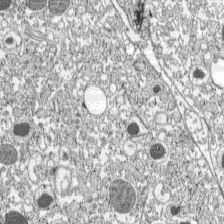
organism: C57BL Mouse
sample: Pancreatic islet